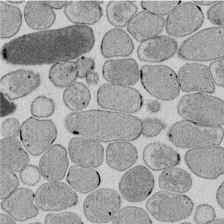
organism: E. coli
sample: Bacterial nucleoid